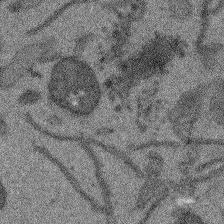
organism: Arabidopsis thaliana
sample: Root tip